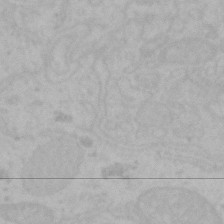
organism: Mouse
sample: Choroid plexus